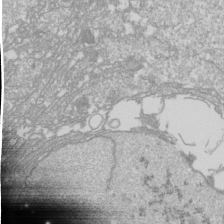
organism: Drosophila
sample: Cell division; meiosis; drosophila spermatocytes